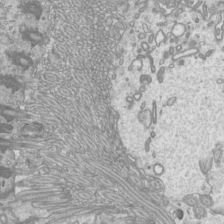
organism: Mouse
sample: Cilia; mouse epididymis